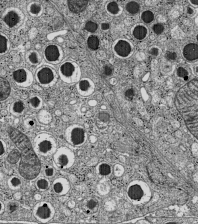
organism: C57BL Mouse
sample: Pancreatic islet